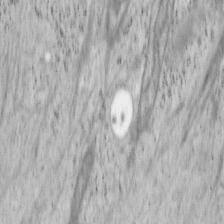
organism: Human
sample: HeLa cells